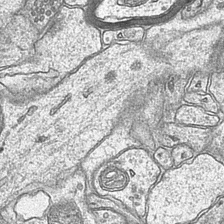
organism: Mouse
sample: CA1 Hippocampus